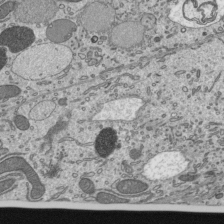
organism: Mouse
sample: Mouse epididymis efferent ductule cilia